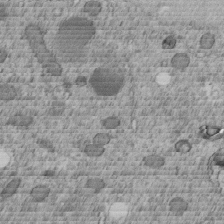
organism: C. elegans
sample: C. elegans embryo early stage